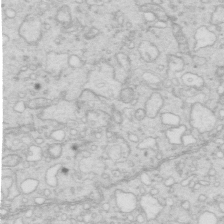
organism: Mouse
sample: Multiciliated cells